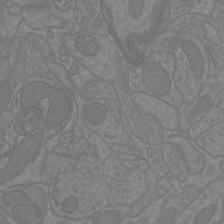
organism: Mouse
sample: Cortical neurons